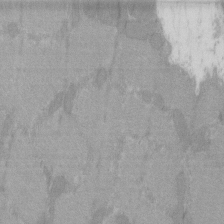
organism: C57BL Mouse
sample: Tibialis anterior muscle cell